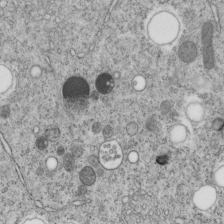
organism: C. elegans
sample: C. elegans embryo early stage